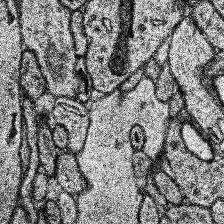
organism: Human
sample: Temporal Lobe